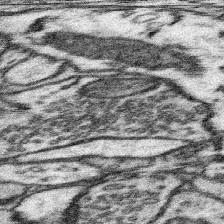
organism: Mouse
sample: Somatosensory cortex neuropil